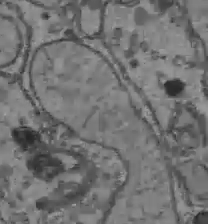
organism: C57BL Mouse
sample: Liver